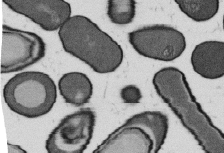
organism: B. subtilis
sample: Bacterial spore